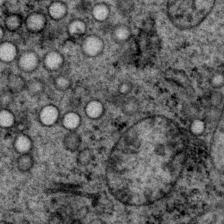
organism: P. pacificus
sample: Pharynx